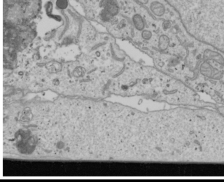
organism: Human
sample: Mitochondria in U2OS cells